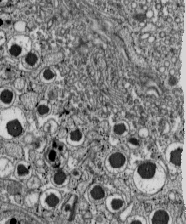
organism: C57BL Mouse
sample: Pancreatic islet